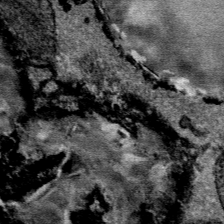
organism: Mouse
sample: Mouse Salivary gland